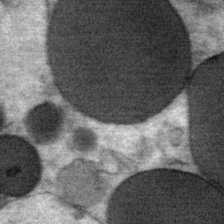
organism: Mouse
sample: Mouse Salivary gland